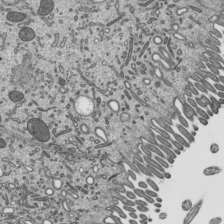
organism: Mouse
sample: Mouse epididymis efferent ductule cilia